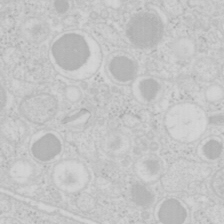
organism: Mouse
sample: Pancreas